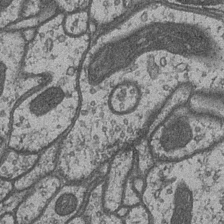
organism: Drosophila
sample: Optic medulla